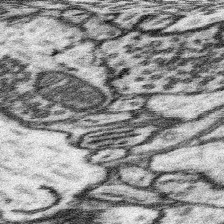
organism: Mouse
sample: Somatosensory cortex neuropil